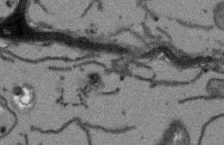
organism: Arabidopsis thaliana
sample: Root tip